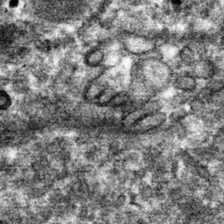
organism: Mouse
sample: Mouse hepatocytes